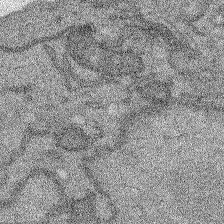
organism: Human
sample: HeLa cells